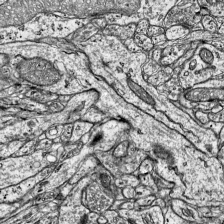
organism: Mouse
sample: Visual Cortex